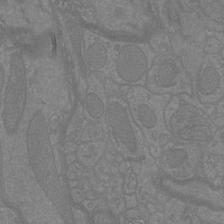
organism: Mouse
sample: Cortical neurons